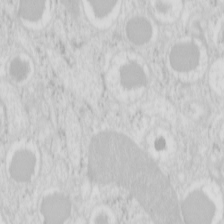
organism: Mouse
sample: Pancreas